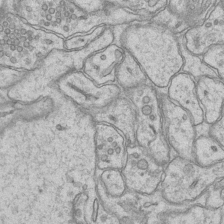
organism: Mouse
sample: CA1 Hippocampus